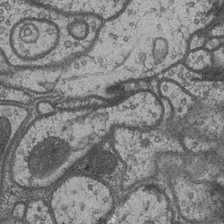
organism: Drosophila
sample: Optic medulla